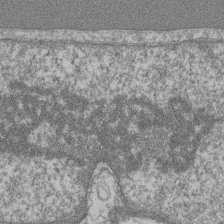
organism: Mouse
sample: T cell stromal cell synapse